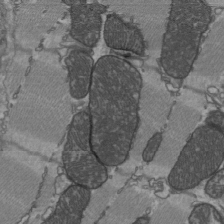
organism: C57BL Mouse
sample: Heart